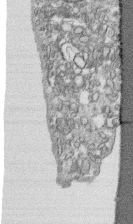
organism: Human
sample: CRL-1474